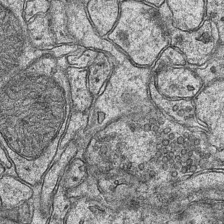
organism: Mouse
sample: CA1 Hippocampus